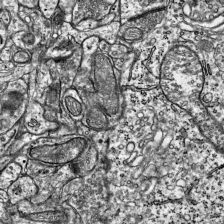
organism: Mouse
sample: Visual Cortex